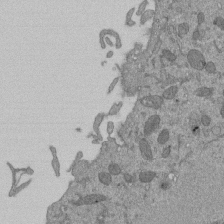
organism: Mouse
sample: ED-1 cell nuclei; centrioles